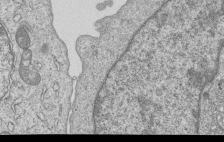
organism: Human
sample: MDA-MB-231 cells